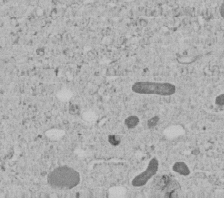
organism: C. elegans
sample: C. elegans embryo early stage